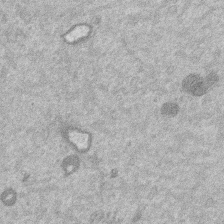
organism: Mouse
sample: Dividing mouse embryo 1 cell stage